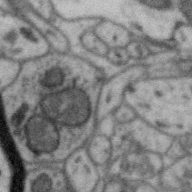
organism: Zebra finch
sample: Brain